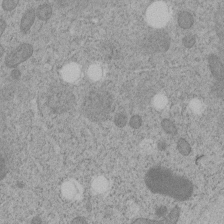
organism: C. elegans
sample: C. elegans embryo early stage